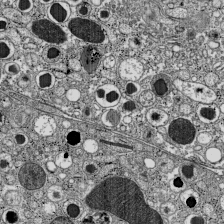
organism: C57BL Mouse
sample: Pancreatic islet